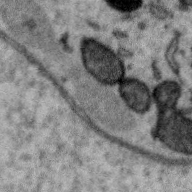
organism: Zebra finch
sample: Brain